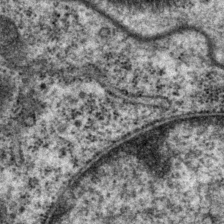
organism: P. pacificus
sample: Pharynx